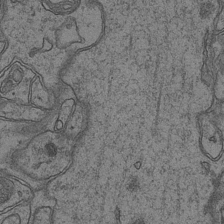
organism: Mouse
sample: CA1 Hippocampus